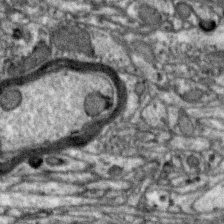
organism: Zebra finch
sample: Brain